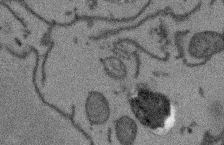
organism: Arabidopsis thaliana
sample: Root tip